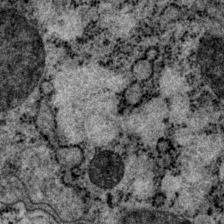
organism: P. pacificus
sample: Pharynx